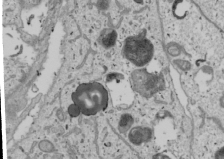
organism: Human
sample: Mitochondria in U2OS cells